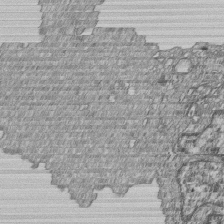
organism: Human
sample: MDA-MB-231 cells